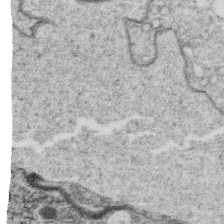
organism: C. elegans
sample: C. elegans oocyte; sperm cells